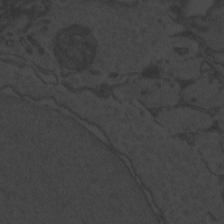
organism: Zebrafish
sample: Macrophage infected with Toxoplasma gondii